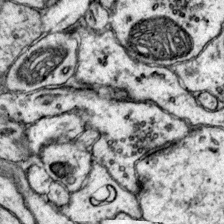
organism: Mouse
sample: Primary visual cortex